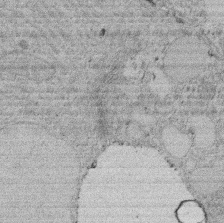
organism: Rat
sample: Salivary granule